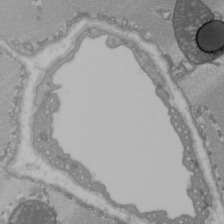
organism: C57BL Mouse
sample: Heart